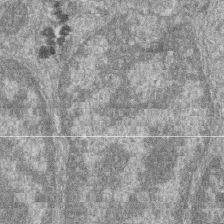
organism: Zebrafish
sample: Cilia; retinal pigment epithelium